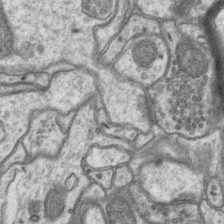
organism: Mouse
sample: CA1 Hippocampus